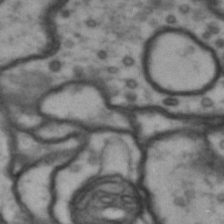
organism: Drosophila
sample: Brain